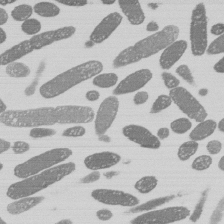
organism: E. coli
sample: Bacterial nucleoid